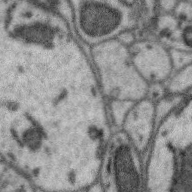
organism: Zebra finch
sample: Brain